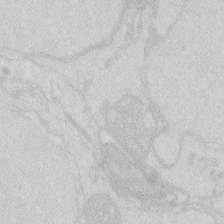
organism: Zebrafish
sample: Macrophage